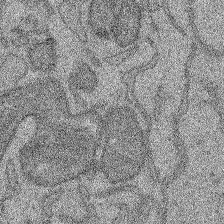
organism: Human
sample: HeLa cells